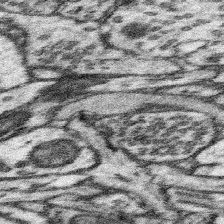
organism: Mouse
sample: Somatosensory cortex neuropil